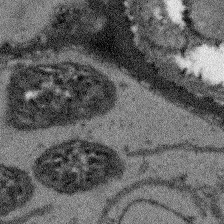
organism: Arabidopsis thaliana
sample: Root tip